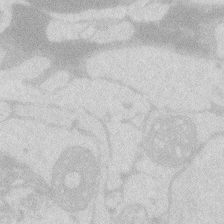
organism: Zebrafish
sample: Macrophage